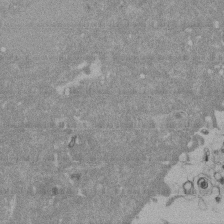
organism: Mouse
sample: ED-1 cell nuclei; centrioles